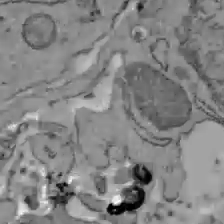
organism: C57BL Mouse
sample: Liver